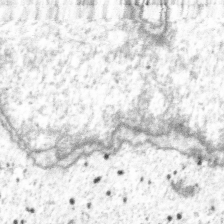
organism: Human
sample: HeLa cells